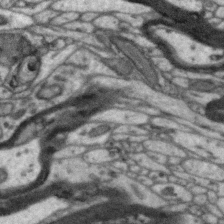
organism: Zebra finch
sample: Brain